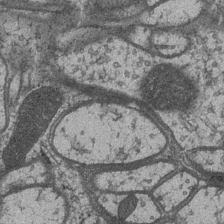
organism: Drosophila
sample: Optic medulla